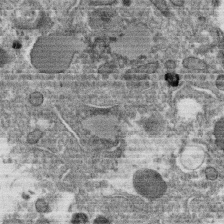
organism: C. elegans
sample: C. elegans oocyte; sperm cells